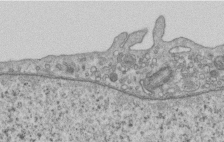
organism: Human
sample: Centriole in RPE cells